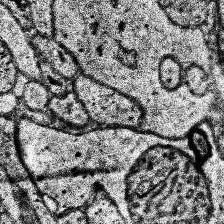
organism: Human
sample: Temporal Lobe